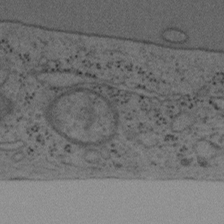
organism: Human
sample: HeLa cells